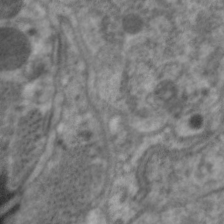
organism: C. elegans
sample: Pharynx